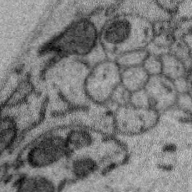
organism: Zebra finch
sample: Brain